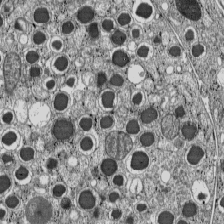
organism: C57BL Mouse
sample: Pancreatic islet